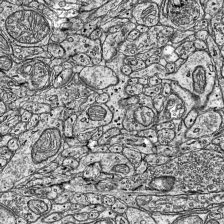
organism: Mouse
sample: Visual Cortex